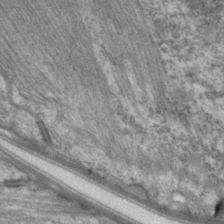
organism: C. elegans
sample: Pharynx